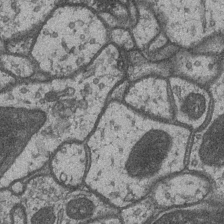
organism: Drosophila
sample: Optic medulla